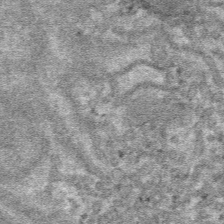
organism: Mouse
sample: Mouse hepatocytes